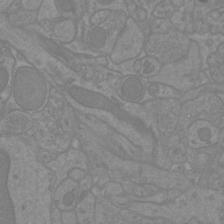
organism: Mouse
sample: Cortical neurons